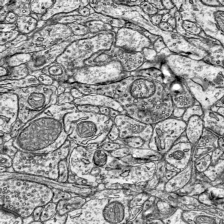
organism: Mouse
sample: Visual Cortex